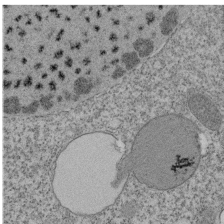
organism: Tetrahymena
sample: Cilia in tetrahymena